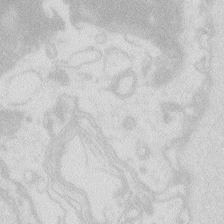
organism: Zebrafish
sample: Macrophage